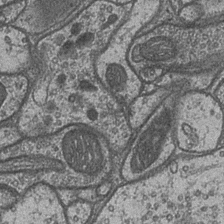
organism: Drosophila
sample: Optic medulla